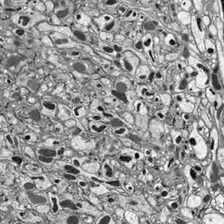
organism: Drosophila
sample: Optic lobe